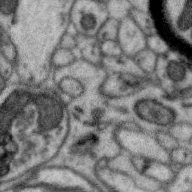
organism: Zebra finch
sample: Brain